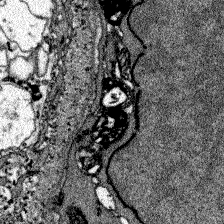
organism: Zebrafish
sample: Larval olfactory bulb